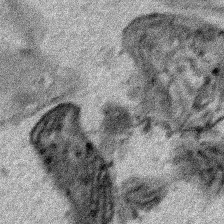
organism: Human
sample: Mitochondria in HCT116 cells